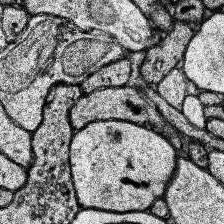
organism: Human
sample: Temporal Lobe